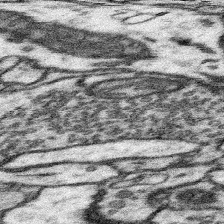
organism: Mouse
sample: Somatosensory cortex neuropil